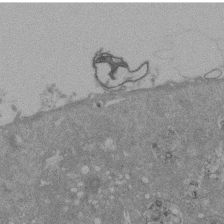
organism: Mouse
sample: ED-1 cell nuclei; centrioles